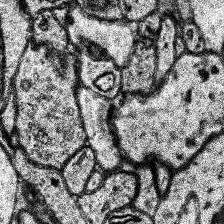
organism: Human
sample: Temporal Lobe